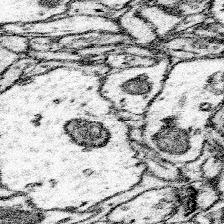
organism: Mouse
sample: Somatosensory cortex neuropil